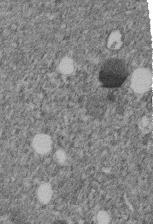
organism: C. elegans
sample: C. elegans embryo early stage